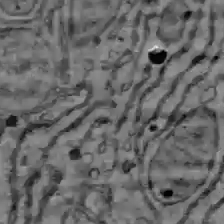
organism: C57BL Mouse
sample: Liver